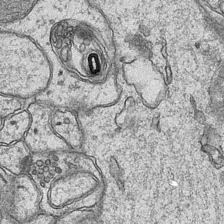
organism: Mouse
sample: CA1 Hippocampus